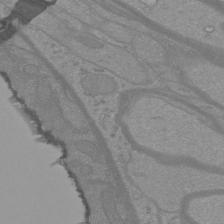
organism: Mouse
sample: Cortical neurons